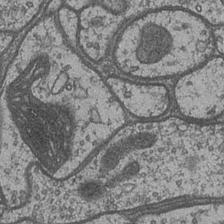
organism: Drosophila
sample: Optic medulla